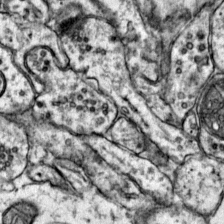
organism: Mouse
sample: Primary visual cortex